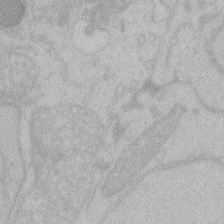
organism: Zebrafish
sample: Macrophage infected with Toxoplasma gondii